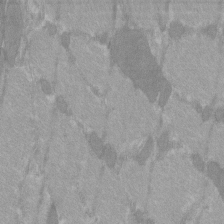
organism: C57BL Mouse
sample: Tibialis anterior muscle cell